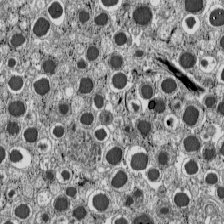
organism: C57BL Mouse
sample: Pancreatic islet